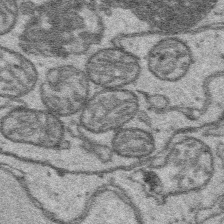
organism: Platynereis dumerilii